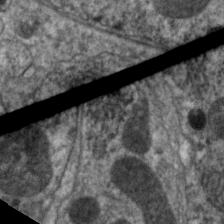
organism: C. elegans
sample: Pharynx